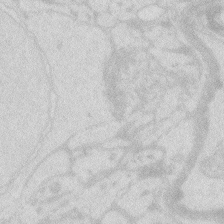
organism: Zebrafish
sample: Macrophage